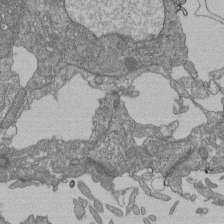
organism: Human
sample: Retinal organoid Rod and Cone cells